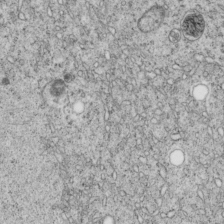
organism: C. elegans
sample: C. elegans embryo early stage